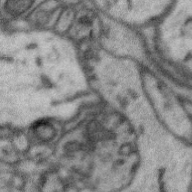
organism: Zebra finch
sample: Brain